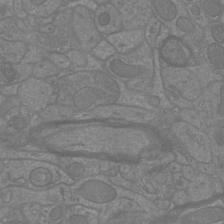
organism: Mouse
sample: Cortical neurons